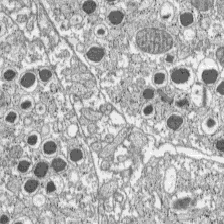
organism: C57BL Mouse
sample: Pancreatic islet